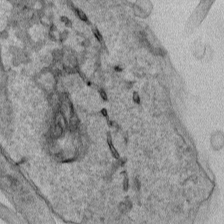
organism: Human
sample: Mitochondria in HCT116 cells